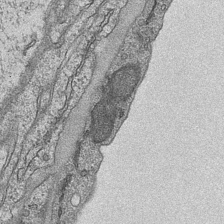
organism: Mouse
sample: CA1 Hippocampus